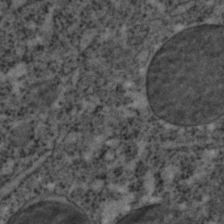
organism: C. elegans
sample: C. elegans embryo